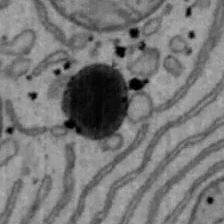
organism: Mouse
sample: Liver